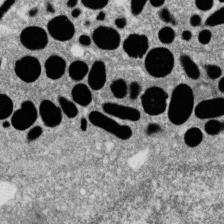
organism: Zebrafish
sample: Cilia; retinal pigment epithelium